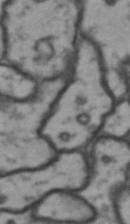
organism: Drosophila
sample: Brain